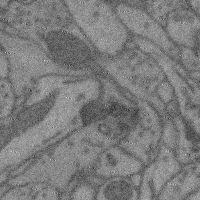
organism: Mouse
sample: Cerebral cortex